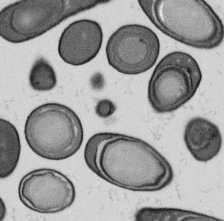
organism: B. subtilis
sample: Bacterial spore